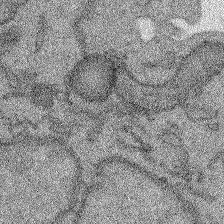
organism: Human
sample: HeLa cells